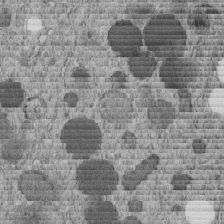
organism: C. elegans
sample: C. elegans embryo early stage